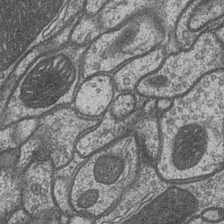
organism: Drosophila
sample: Optic medulla